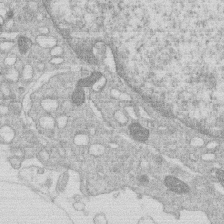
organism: Human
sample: Macrophage cells